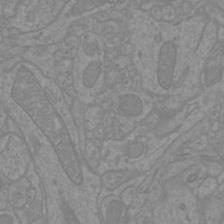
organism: Mouse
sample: Cortical neurons